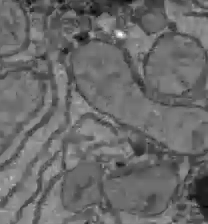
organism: C57BL Mouse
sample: Liver